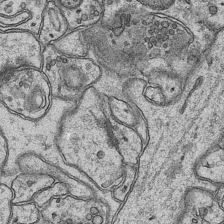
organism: Mouse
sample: CA1 Hippocampus